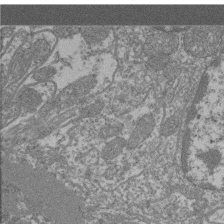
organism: Mouse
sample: Glomerulus